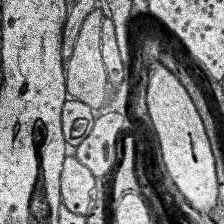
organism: Human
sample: Temporal Lobe